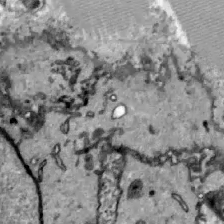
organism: Zebrafish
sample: Actinotrichia fibers